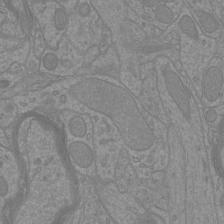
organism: Mouse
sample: Cortical neurons